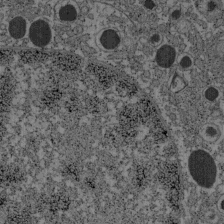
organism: C57BL Mouse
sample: Pancreatic islet